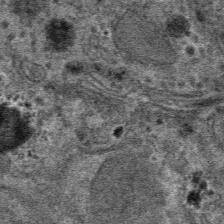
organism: Mouse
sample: Mouse hepatocytes